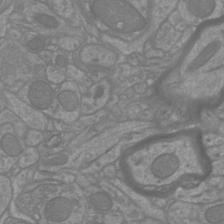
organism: Mouse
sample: Cortical neurons